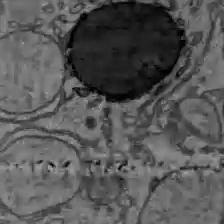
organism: C57BL Mouse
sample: Liver